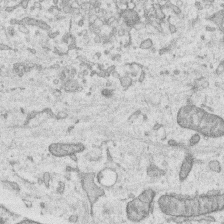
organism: Human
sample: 1205lu cells